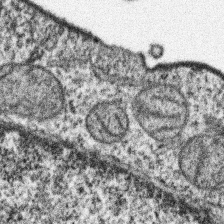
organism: Human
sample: HeLa cells